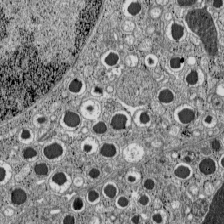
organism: C57BL Mouse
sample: Pancreatic islet